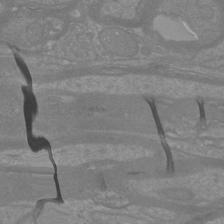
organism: Mouse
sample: Cortical neurons